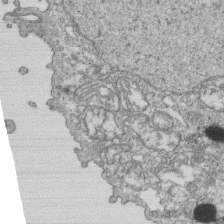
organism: Human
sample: HeLa cell HIV synapse